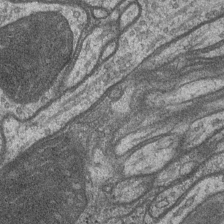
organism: Drosophila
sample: Optic medulla